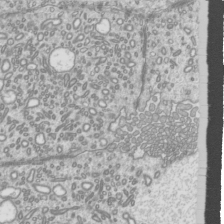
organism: Mouse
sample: Cilia; mouse epididymis